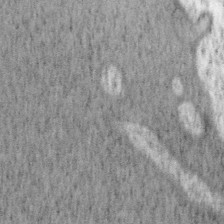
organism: Mouse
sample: OT-I killer T cells with ID8 ovarian cancer cells